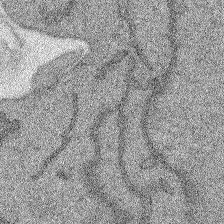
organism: Human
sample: HeLa cells